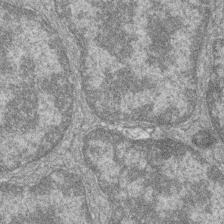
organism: Zebrafish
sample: Cilia; retinal pigment epithelium